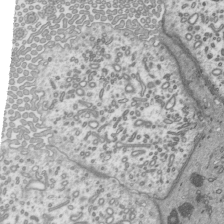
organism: Mouse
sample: Mouse epididymis efferent ductule cilia